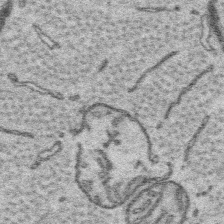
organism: Platynereis dumerilii